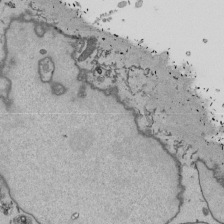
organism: Mouse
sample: ED-1 cell nuclei; centrioles